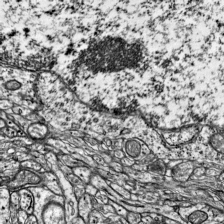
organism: Mouse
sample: Visual Cortex